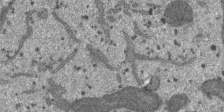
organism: Human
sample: Lung epithelial cells infected with SARS-CoV-2